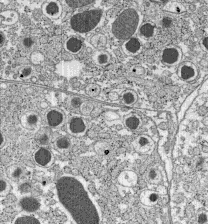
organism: C57BL Mouse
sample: Pancreatic islet